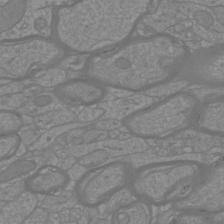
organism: Mouse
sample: Cortical neurons